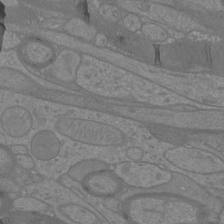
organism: Mouse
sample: Cortical neurons